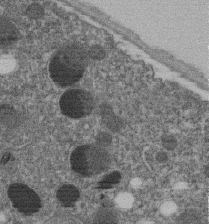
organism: C. elegans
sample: C. elegans embryo early stage